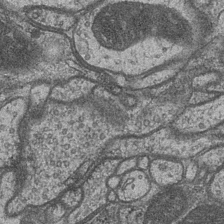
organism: Drosophila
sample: Optic medulla